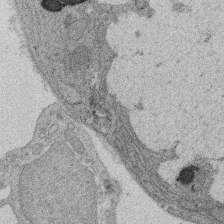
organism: Rat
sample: Salivary granule